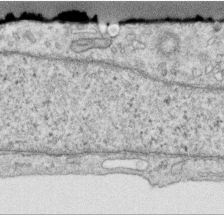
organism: Human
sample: Centriole in RPE cells